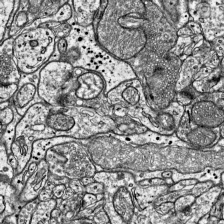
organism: Mouse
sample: Visual Cortex